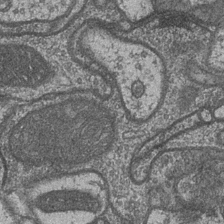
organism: Drosophila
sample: Optic medulla